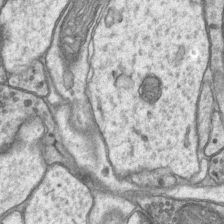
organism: Mouse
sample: CA1 Hippocampus